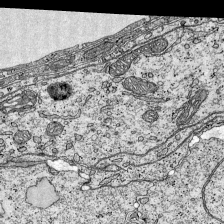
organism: Mouse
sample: Visual Cortex